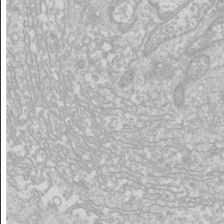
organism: Drosophila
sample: Cell division; meiosis; drosophila spermatocytes